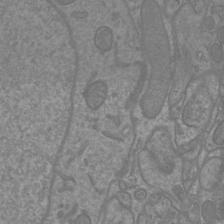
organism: Mouse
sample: Cortical neurons